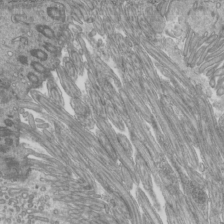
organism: Mouse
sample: Cilia; mouse epididymis